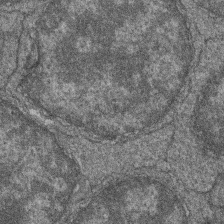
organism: Zebrafish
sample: Cilia; retinal pigment epithelium